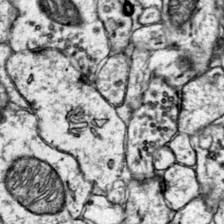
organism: Mouse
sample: Primary visual cortex